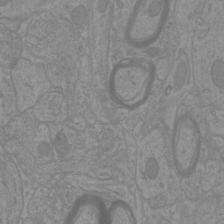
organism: Mouse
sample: Cortical neurons